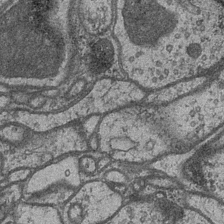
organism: Drosophila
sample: Optic medulla